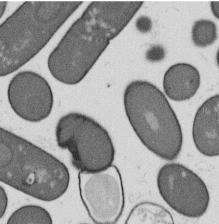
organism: B. subtilis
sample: Bacterial spore